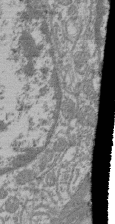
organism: Mouse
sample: Glomerulus